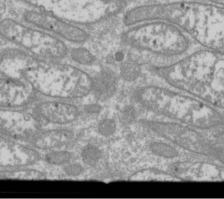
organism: Drosophila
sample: Cell division; meiosis; drosophila spermatocytes